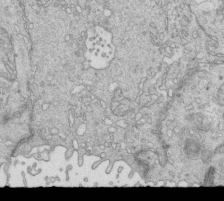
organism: Mouse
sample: Multiciliated cells